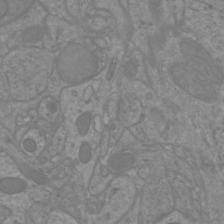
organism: Mouse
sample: Cortical neurons